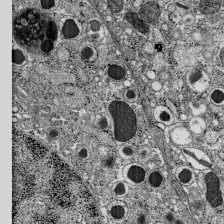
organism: C57BL Mouse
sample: Pancreatic islet